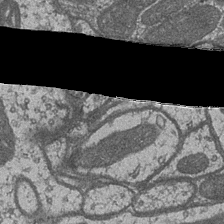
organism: Drosophila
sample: Optic medulla